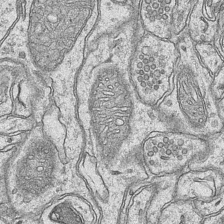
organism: Mouse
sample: CA1 Hippocampus